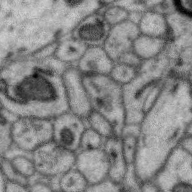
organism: Zebra finch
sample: Brain